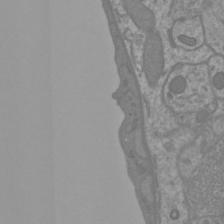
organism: Mouse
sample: Cortical neurons